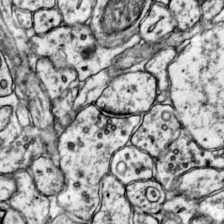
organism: Mouse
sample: Primary visual cortex